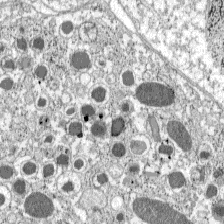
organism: C57BL Mouse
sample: Pancreatic islet